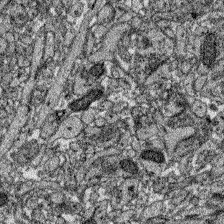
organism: Zebrafish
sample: Larval olfactory bulb